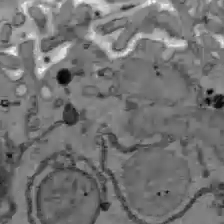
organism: C57BL Mouse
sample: Liver